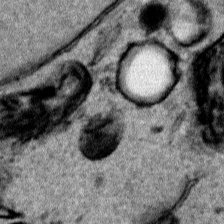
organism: Human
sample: Mitochondria in HCT116 cells